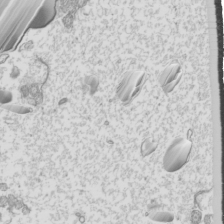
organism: Mouse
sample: Cilia; mouse epididymis